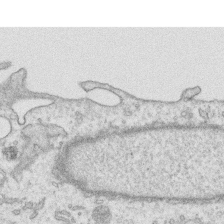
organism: Human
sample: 1205lu cells